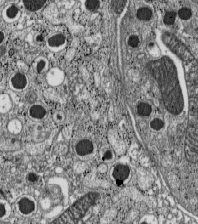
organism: C57BL Mouse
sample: Pancreatic islet